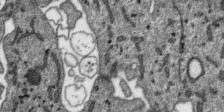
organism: Human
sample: Lung epithelial cells infected with SARS-CoV-2